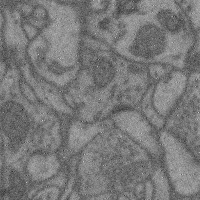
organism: Mouse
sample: Cerebral cortex